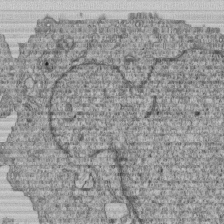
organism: Human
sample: MDA-MB-231 cells